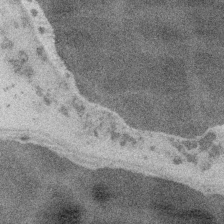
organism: Embia sp.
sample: Silk gland